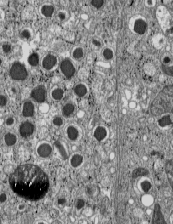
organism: C57BL Mouse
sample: Pancreatic islet